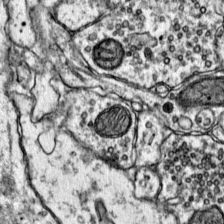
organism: Mouse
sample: Primary visual cortex